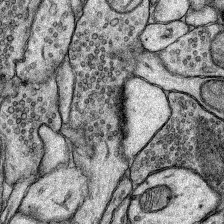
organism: Rat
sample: Hippocampus